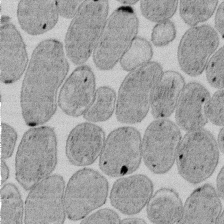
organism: E. coli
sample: Bacterial nucleoid